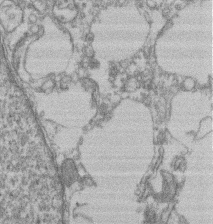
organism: Mouse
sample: T cell stromal cell synapse